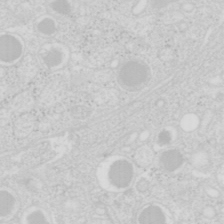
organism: Mouse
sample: Pancreas